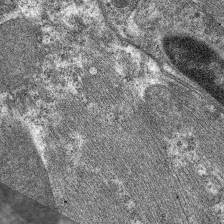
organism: C. elegans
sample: Pharynx